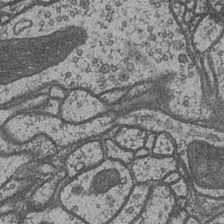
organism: Drosophila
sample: Optic medulla